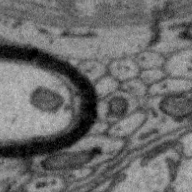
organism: Zebra finch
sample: Brain